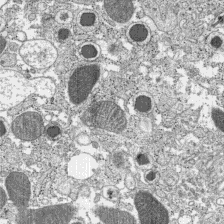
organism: C57BL Mouse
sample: Pancreatic islet